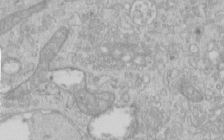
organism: Human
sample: Centriole in RPE cells